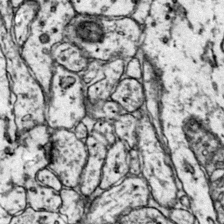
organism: Mouse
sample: Primary visual cortex